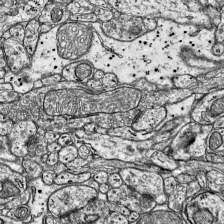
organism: Mouse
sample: Visual Cortex